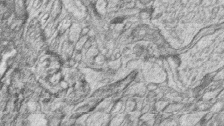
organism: Zebrafish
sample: synaptic ribbons in rod cells and cone cells